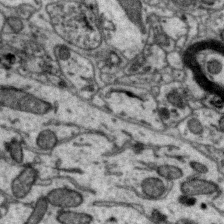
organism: Zebra finch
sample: Brain